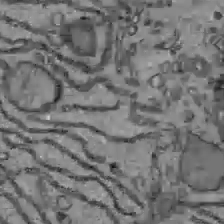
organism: C57BL Mouse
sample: Liver